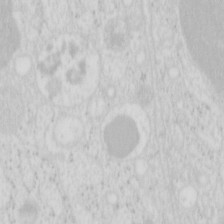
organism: Mouse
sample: Pancreas